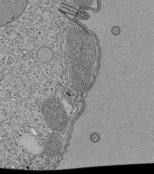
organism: Tetrahymena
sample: Cilia in tetrahymena